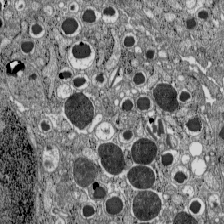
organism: C57BL Mouse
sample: Pancreatic islet